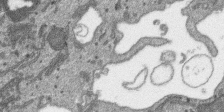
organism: Human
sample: Lung epithelial cells infected with SARS-CoV-2